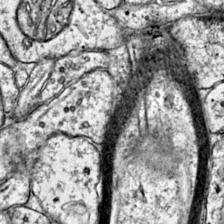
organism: Mouse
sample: Primary visual cortex